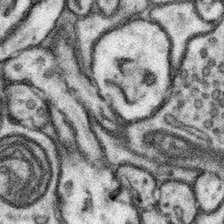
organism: Mouse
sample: Somatosensory cortex neuropil